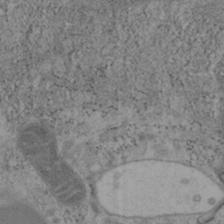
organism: Mouse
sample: OT-I killer T cells with ID8 ovarian cancer cells